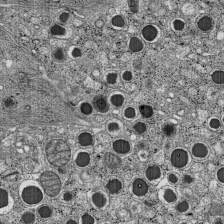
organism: C57BL Mouse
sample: Pancreatic islet